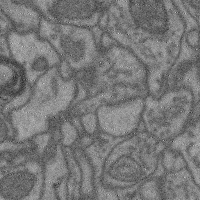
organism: Mouse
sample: Cerebral cortex